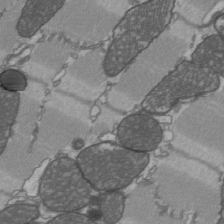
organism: C57BL Mouse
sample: Heart